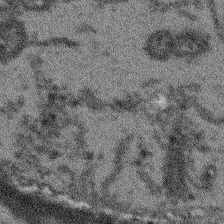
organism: Arabidopsis thaliana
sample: Root tip